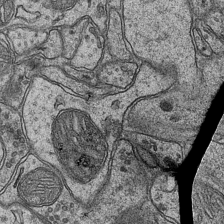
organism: Mouse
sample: CA1 Hippocampus